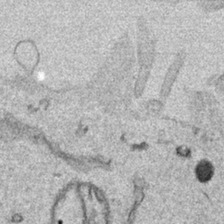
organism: Human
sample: Mitochondria in HCT116 cells